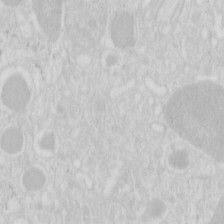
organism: Mouse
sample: Pancreas